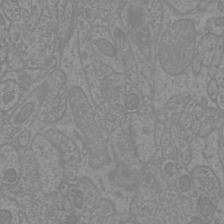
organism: Mouse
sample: Cortical neurons